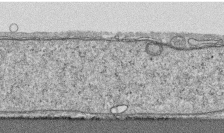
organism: Human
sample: CRL-1474